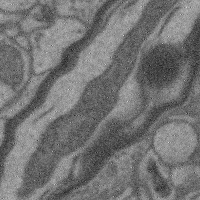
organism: Mouse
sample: Cerebral cortex